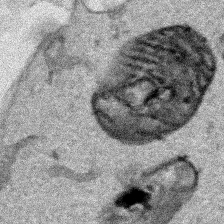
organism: Human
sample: Mitochondria in HCT116 cells